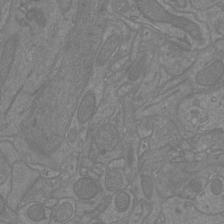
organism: Mouse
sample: Cortical neurons